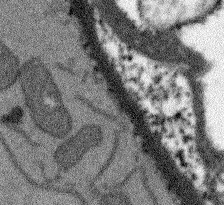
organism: Arabidopsis thaliana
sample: Root tip